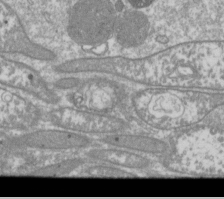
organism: Drosophila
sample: Cell division; meiosis; drosophila spermatocytes